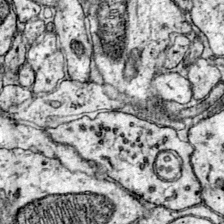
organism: Mouse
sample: Primary visual cortex